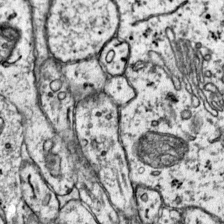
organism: Mouse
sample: Primary visual cortex